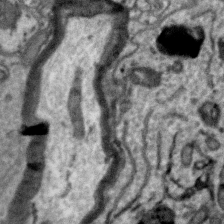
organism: Zebra finch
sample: Brain